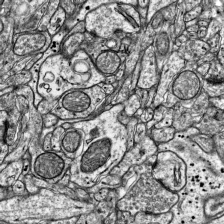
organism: Mouse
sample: Visual Cortex